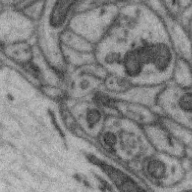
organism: Zebra finch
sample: Brain